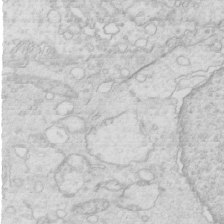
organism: Mouse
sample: Multiciliated cells